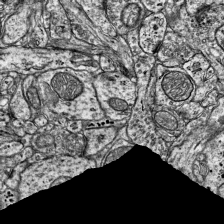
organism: Mouse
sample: Visual Cortex